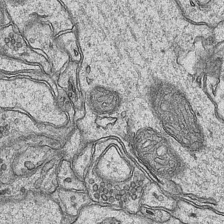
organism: Mouse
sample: CA1 Hippocampus